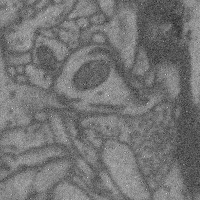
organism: Mouse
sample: Cerebral cortex